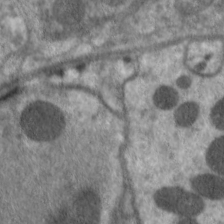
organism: C. elegans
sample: Pharynx